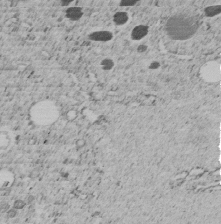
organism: C. elegans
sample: C. elegans embryo early stage